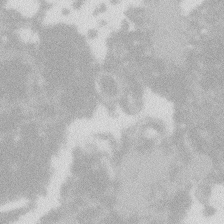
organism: Zebrafish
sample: Macrophage